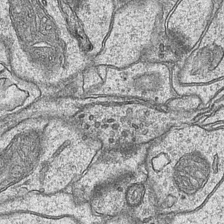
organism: Mouse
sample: CA1 Hippocampus